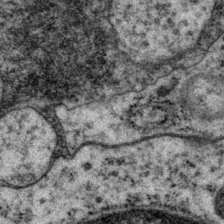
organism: P. pacificus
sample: Pharynx